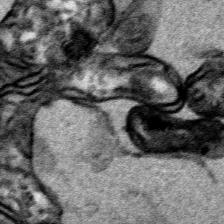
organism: Human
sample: Mitochondria in HCT116 cells